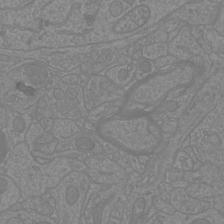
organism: Mouse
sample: Cortical neurons